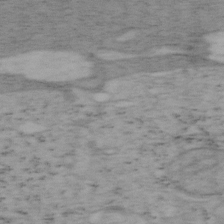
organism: Mouse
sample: OT-I killer T cells with ID8 ovarian cancer cells